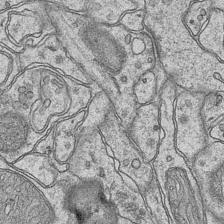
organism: Mouse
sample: CA1 Hippocampus